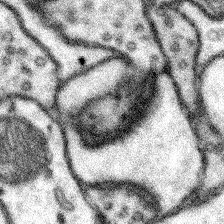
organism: Mouse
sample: Somatosensory cortex neuropil